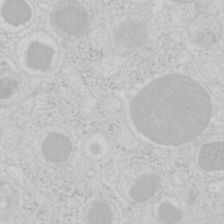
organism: Mouse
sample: Pancreas